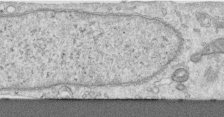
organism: Human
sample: Centriole in RPE cells